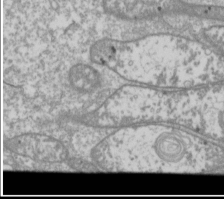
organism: Drosophila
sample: Cell division; meiosis; drosophila spermatocytes